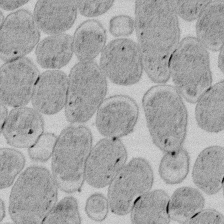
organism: E. coli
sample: Bacterial nucleoid